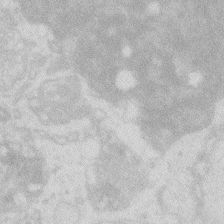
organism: Zebrafish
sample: Macrophage